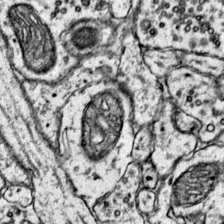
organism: Mouse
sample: Primary visual cortex